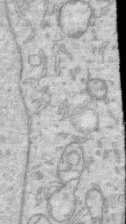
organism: Human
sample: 1205lu cells